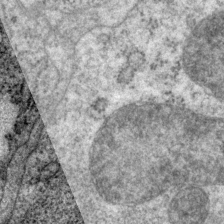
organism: P. pacificus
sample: Pharynx